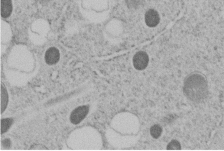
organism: C. elegans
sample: C. elegans embryo early stage